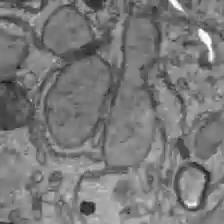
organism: C57BL Mouse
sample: Liver